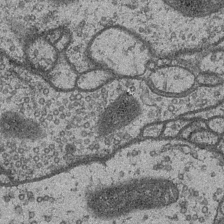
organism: Drosophila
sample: Optic medulla